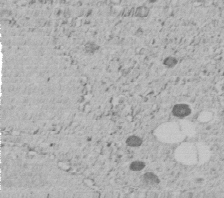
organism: C. elegans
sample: C. elegans embryo early stage